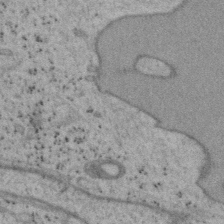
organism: Human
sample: HeLa cells